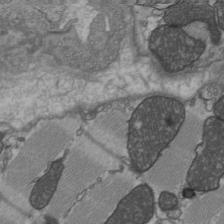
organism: C57BL Mouse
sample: Heart